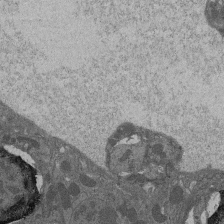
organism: Drosophila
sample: Antenna